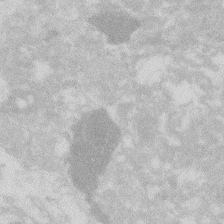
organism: Zebrafish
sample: Macrophage